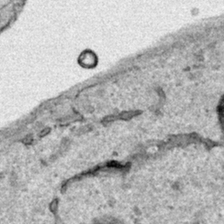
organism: Human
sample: Mitochondria in HCT116 cells